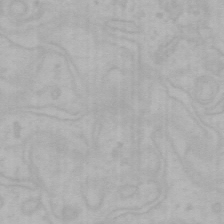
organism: Mouse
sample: Choroid plexus